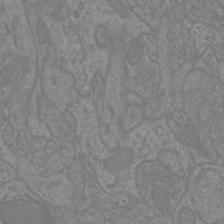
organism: Mouse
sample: Cortical neurons